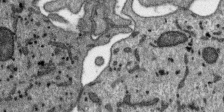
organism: Human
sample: Lung epithelial cells, uninfected (mock) control